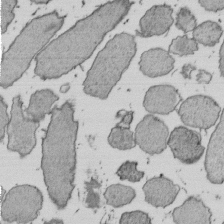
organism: E. coli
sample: Bacterial nucleoid